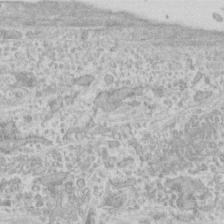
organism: Human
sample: CRL-1474